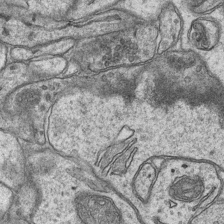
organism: Mouse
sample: CA1 Hippocampus